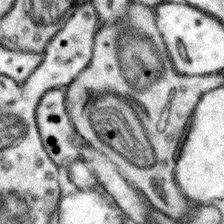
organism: Mouse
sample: Somatosensory cortex neuropil